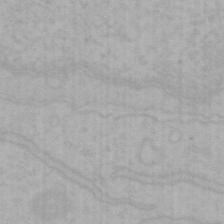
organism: Mouse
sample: Choroid plexus